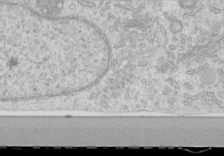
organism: Human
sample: Centriole in RPE cells